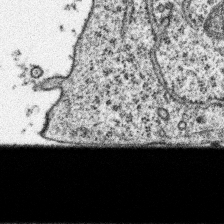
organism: Human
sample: HeLa cells